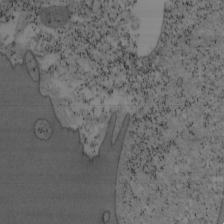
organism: Mouse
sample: OT-I killer T cells with ID8 ovarian cancer cells